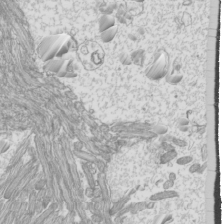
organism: Mouse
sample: Cilia; mouse epididymis